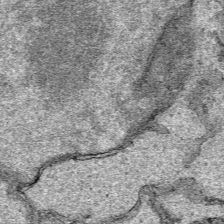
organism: Human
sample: Mitochondria in HCT116 cells